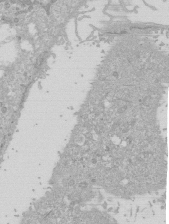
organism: Human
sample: Caco-2 cells